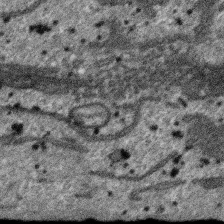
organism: Human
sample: Lung epithelial cells infected with SARS-CoV-2